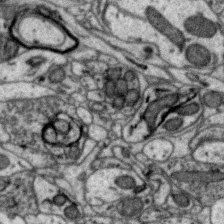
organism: Zebra finch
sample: Brain